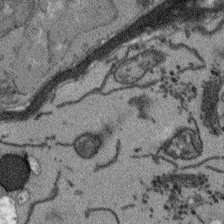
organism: Arabidopsis thaliana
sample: Root tip